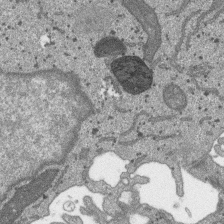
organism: Human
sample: Lung epithelial cells infected with SARS-CoV-2